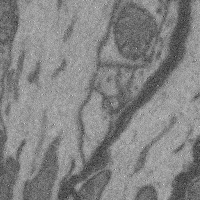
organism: Mouse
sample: Cerebral cortex